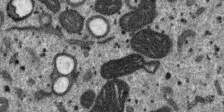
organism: Human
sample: Lung epithelial cells infected with SARS-CoV-2